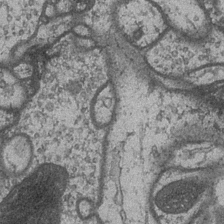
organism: Drosophila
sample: Optic medulla